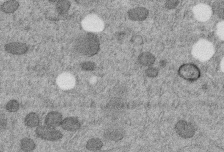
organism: C. elegans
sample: C. elegans embryo early stage